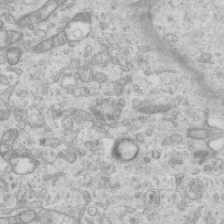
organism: Mouse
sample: Centriole in ependymal cells